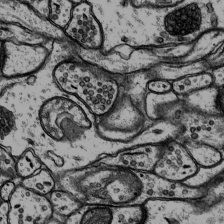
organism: Rat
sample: Hippocampus